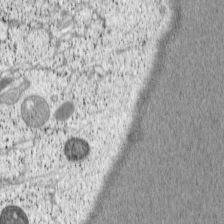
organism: African green monkey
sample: COS-7 cells